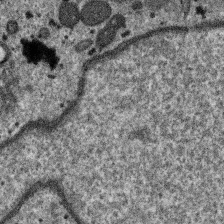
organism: Human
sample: Lung epithelial cells infected with SARS-CoV-2